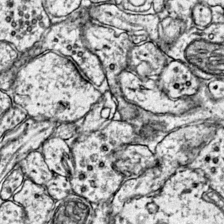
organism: Mouse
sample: Primary visual cortex